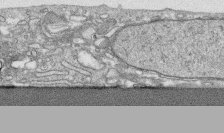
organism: Human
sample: CRL-1474